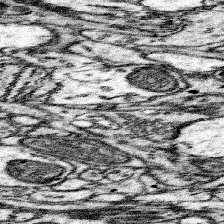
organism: Mouse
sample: Somatosensory cortex neuropil